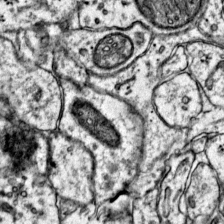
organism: Mouse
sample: Primary visual cortex